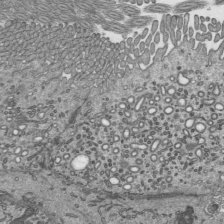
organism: Mouse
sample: Mouse epididymis efferent ductule cilia